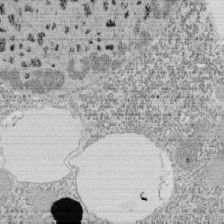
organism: Tetrahymena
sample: Cilia in tetrahymena